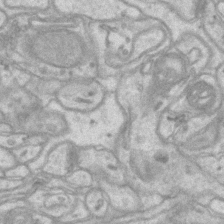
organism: Mouse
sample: CA1 Hippocampus